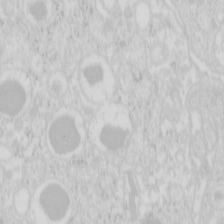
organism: Mouse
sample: Pancreas